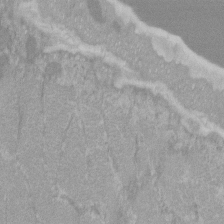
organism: C57BL Mouse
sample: Tibialis anterior muscle cell